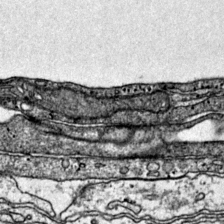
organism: Mouse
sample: Primary visual cortex